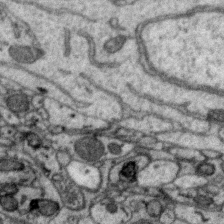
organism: Zebra finch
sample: Brain